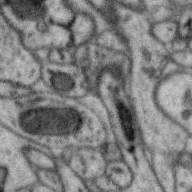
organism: Zebra finch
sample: Brain